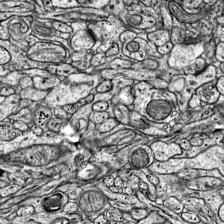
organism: Mouse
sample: Visual Cortex